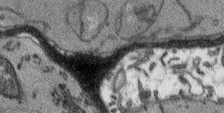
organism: Arabidopsis thaliana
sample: Root tip